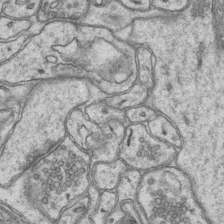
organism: Mouse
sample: CA1 Hippocampus